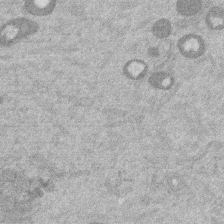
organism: Mouse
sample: Dividing mouse embryo 1 cell stage